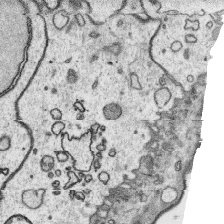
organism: Platynereis dumerilii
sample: Parapodia